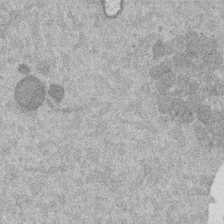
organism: Mouse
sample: Dividing mouse embryo 1 cell stage